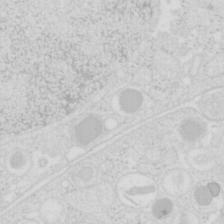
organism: Mouse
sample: Pancreas